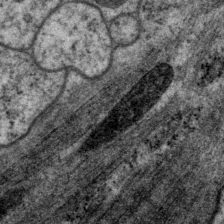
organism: P. pacificus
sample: Pharynx